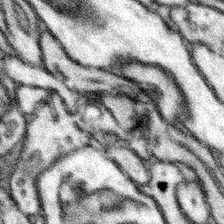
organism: Mouse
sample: Somatosensory cortex neuropil